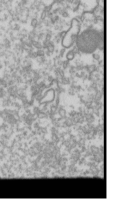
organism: Drosophila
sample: Cell division; meiosis; drosophila spermatocytes